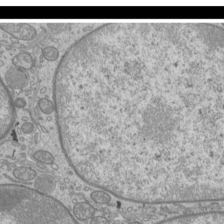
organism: Mouse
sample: Cilia; mouse epididymis